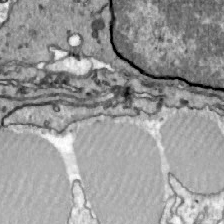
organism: Zebrafish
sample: Actinotrichia fibers